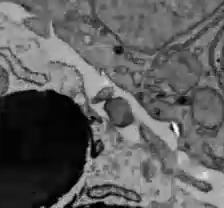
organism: C57BL Mouse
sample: Liver